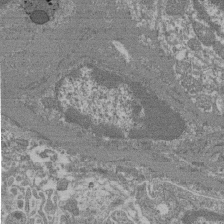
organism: Mouse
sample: Glomerulus